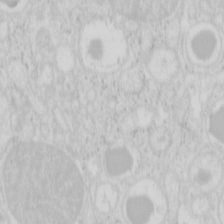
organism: Mouse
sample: Pancreas